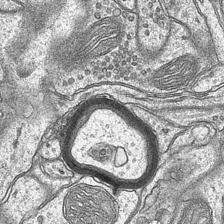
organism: Mouse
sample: CA1 Hippocampus